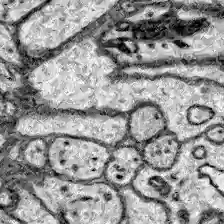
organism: Zebrafish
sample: Brain